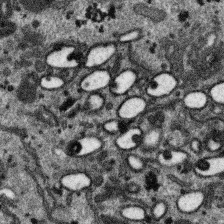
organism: Human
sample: Lung epithelial cells infected with SARS-CoV-2